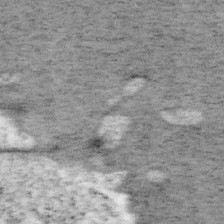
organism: Mouse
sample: OT-I killer T cells with ID8 ovarian cancer cells